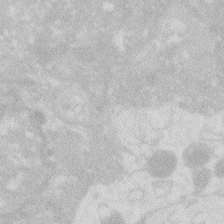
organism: Zebrafish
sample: Macrophage